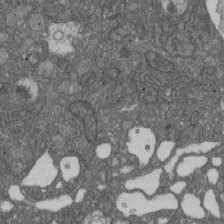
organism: Drosophila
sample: Nephrocyte